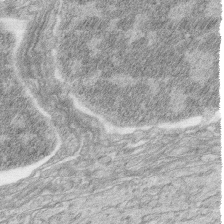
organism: Zebrafish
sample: synaptic ribbons in rod cells and cone cells